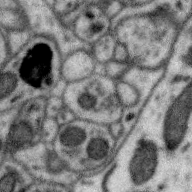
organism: Zebra finch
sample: Brain